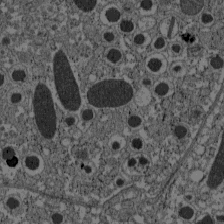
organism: C57BL Mouse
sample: Pancreatic islet